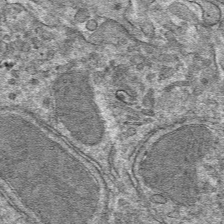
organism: Mouse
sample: Mouse hepatocytes